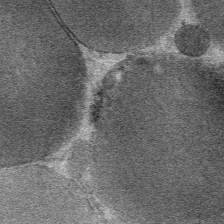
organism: Mouse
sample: Mouse Salivary gland